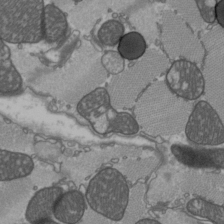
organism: C57BL Mouse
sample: Heart